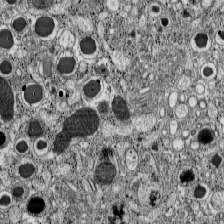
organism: C57BL Mouse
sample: Pancreatic islet